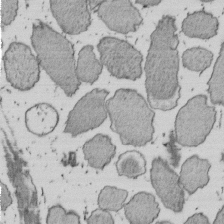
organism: E. coli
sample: Bacterial nucleoid